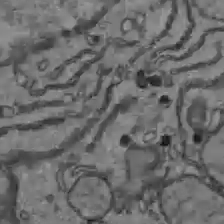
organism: C57BL Mouse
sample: Liver